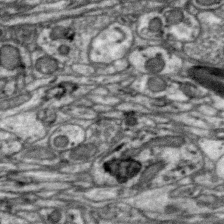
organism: Zebra finch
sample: Brain